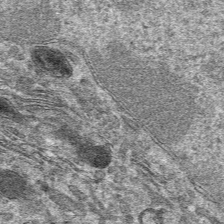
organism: Mouse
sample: Mouse hepatocytes